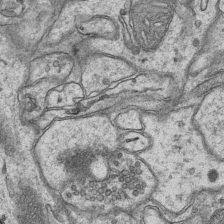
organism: Mouse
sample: CA1 Hippocampus